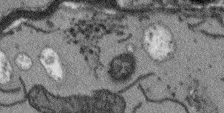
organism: Arabidopsis thaliana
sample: Root tip